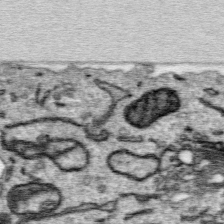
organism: Human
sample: HeLa cells